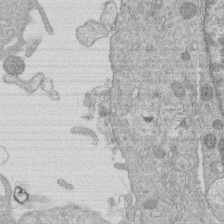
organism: Human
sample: Macrophage cells